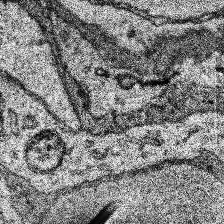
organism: Human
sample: Temporal Lobe